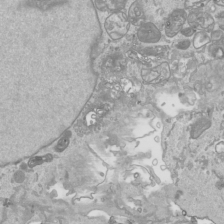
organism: Human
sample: Mitochondria in HCT116 cells